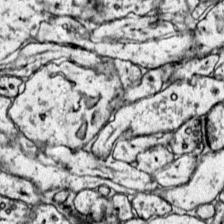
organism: Mouse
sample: Primary visual cortex